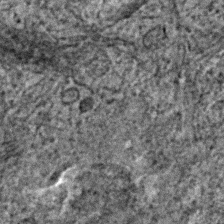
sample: Trachea